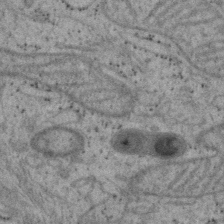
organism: Human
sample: HeLa cells